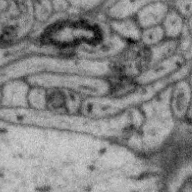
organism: Zebra finch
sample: Brain